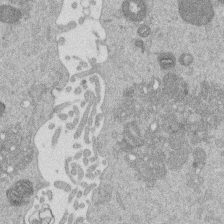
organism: Mouse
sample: Dividing mouse embryo 1 cell stage